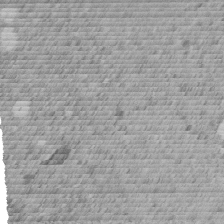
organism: C. elegans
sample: C. elegans embryo early stage